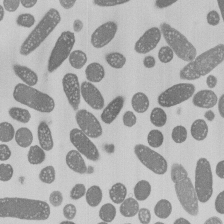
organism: E. coli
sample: Bacterial nucleoid